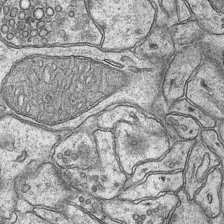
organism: Mouse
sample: CA1 Hippocampus